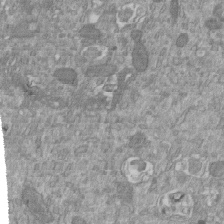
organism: Mouse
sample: ED-1 cell nuclei; centrioles